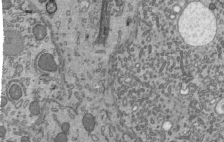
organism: Mouse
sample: Mouse epididymis efferent ductule cilia